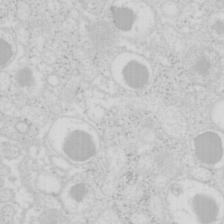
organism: Mouse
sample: Pancreas